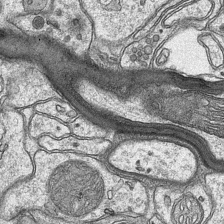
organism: Mouse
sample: CA1 Hippocampus